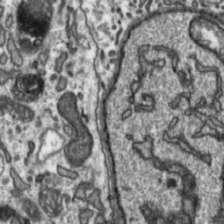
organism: Toxoplasma gondii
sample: Parasites in a vacuole inside a host cell